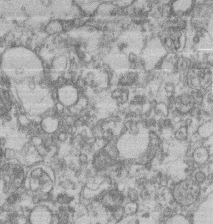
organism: Mouse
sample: T cell stromal cell synapse